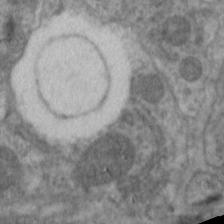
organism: C. elegans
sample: Pharynx